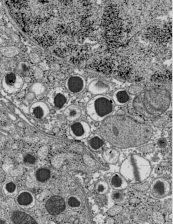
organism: C57BL Mouse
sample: Pancreatic islet